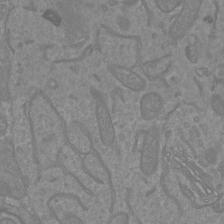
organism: Mouse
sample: Cortical neurons